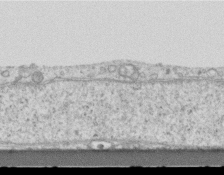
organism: Mouse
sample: Centriole in ependymal cells